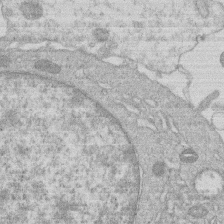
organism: Human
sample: Macrophage cells